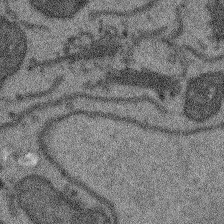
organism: Arabidopsis thaliana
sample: Root tip